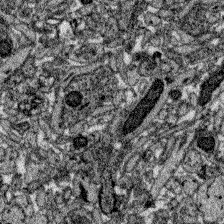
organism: Zebrafish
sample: Larval olfactory bulb